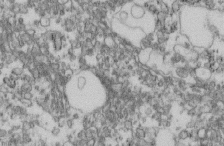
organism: Mouse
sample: Cilia; retinal pigment epithelium